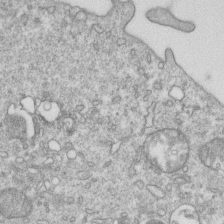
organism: Mouse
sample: Activated OT-1 CD8+ T cells